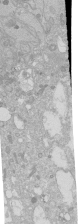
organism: Human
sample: Caco-2 cells